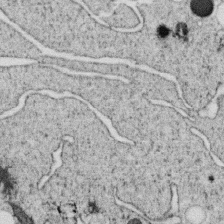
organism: C. elegans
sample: C. elegans oocyte; sperm cells